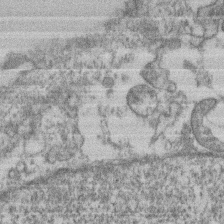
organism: Mouse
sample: T cell stromal cell synapse